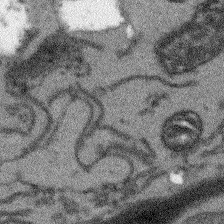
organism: Arabidopsis thaliana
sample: Root tip